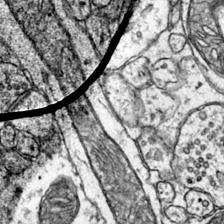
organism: Mouse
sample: Primary visual cortex